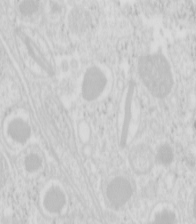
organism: Mouse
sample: Pancreas